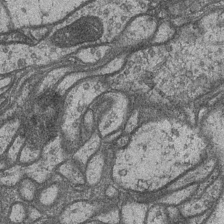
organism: Drosophila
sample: Optic medulla